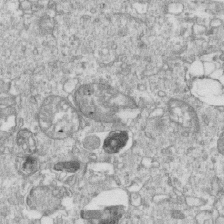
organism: Mouse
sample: Activated OT-1 CD8+ T cells